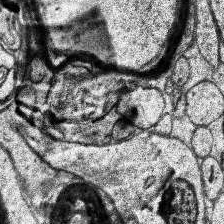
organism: Human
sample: Temporal Lobe